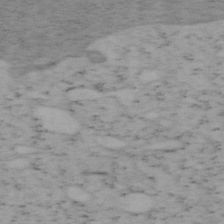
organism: Mouse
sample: OT-I killer T cells with ID8 ovarian cancer cells